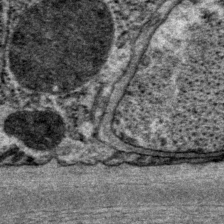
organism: P. pacificus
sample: Pharynx